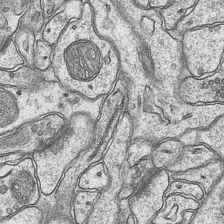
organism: Mouse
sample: CA1 Hippocampus